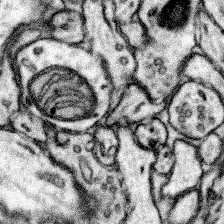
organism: Mouse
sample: Somatosensory cortex neuropil